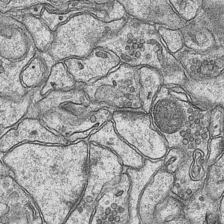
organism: Mouse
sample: CA1 Hippocampus